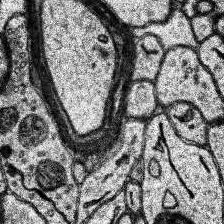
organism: Human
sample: Temporal Lobe